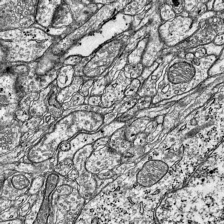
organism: Mouse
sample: Visual Cortex